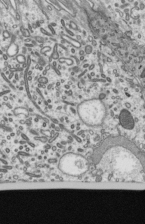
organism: Mouse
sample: Mouse epididymis efferent ductule cilia